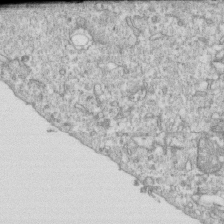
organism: Mouse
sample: Activated OT-1 CD8+ T cells